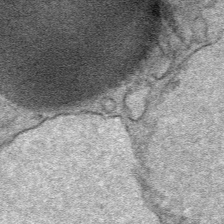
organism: Mouse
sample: Mouse Salivary gland